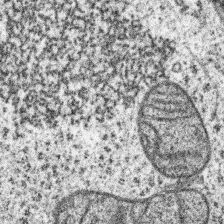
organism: Human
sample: HeLa cells